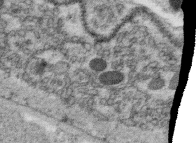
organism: C. elegans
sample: C. elegans oocyte; sperm cells